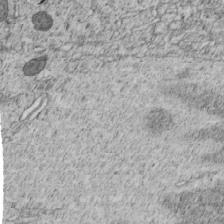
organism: C. elegans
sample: C. elegans embryo early stage